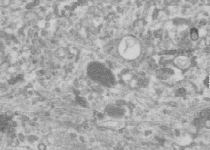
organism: Human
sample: Centriole in RPE cells